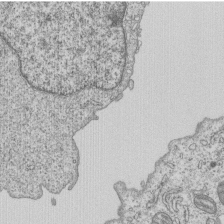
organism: Human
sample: MDA-MB-231 cells